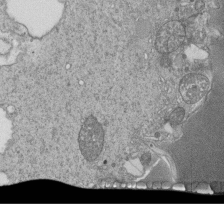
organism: Tetrahymena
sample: Cilia in tetrahymena